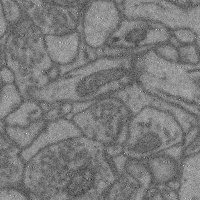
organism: Mouse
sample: Cerebral cortex